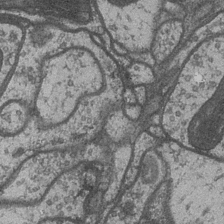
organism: Drosophila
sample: Optic medulla